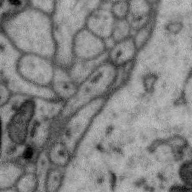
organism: Zebra finch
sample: Brain